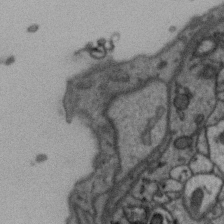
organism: Zebra finch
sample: Brain